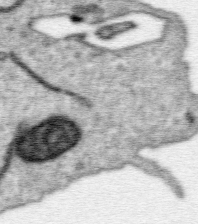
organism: Human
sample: HeLa cells